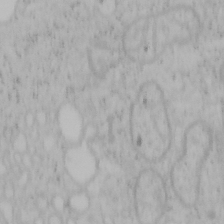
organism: Mouse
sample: OT-I killer T cells with ID8 ovarian cancer cells